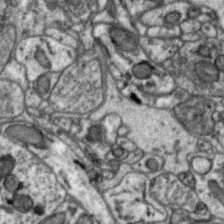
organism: Zebra finch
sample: Brain